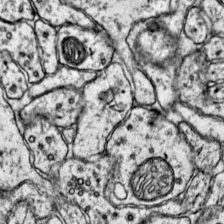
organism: Mouse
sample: Primary visual cortex